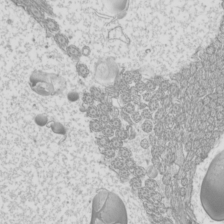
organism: Mouse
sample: Cilia; mouse epididymis